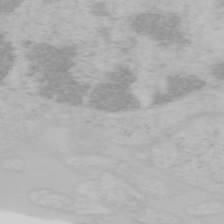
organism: Mouse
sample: OT-I killer T cells with ID8 ovarian cancer cells